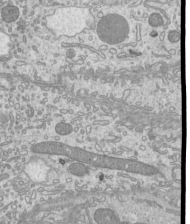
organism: Mouse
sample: Cilia; mouse epididymis